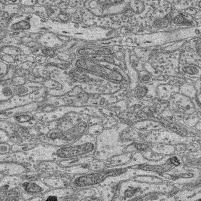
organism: Mouse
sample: Retina